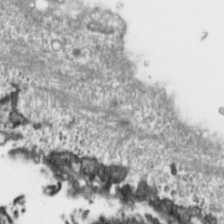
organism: Toxoplasma gondii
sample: Parasites in a vacuole inside a host cell